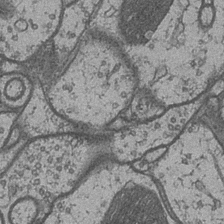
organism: Drosophila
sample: Optic medulla